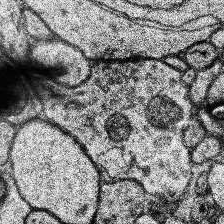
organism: Human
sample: Temporal Lobe